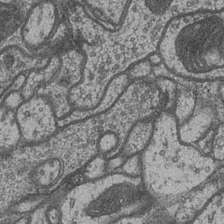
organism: Drosophila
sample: Optic medulla